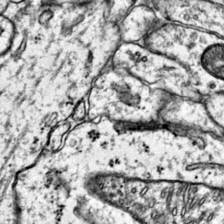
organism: Mouse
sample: Primary visual cortex